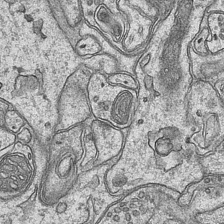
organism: Mouse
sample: CA1 Hippocampus